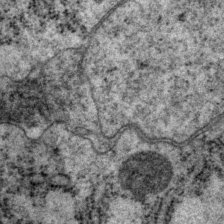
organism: P. pacificus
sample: Pharynx